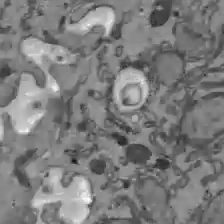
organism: C57BL Mouse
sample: Liver